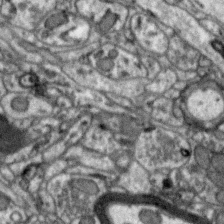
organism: Zebra finch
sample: Brain